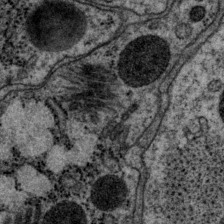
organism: P. pacificus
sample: Pharynx